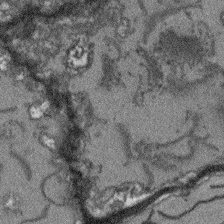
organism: Arabidopsis thaliana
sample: Root tip